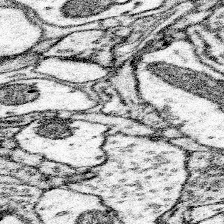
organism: Mouse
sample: Somatosensory cortex neuropil